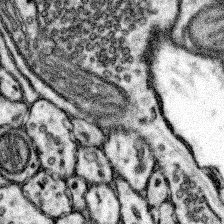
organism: Mouse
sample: Somatosensory cortex neuropil